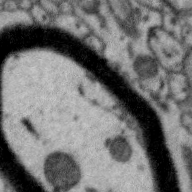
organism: Zebra finch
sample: Brain